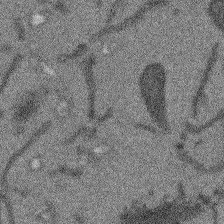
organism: Arabidopsis thaliana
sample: Root tip